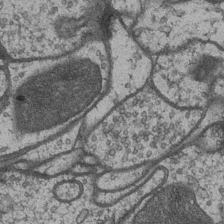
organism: Drosophila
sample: Optic medulla